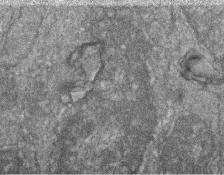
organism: Zebrafish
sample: Cilia; retinal pigment epithelium